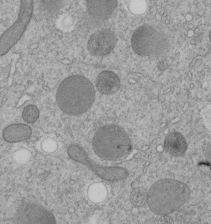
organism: C. elegans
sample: C. elegans embryo early stage